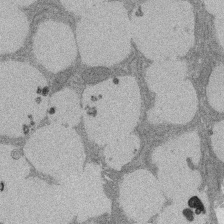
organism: Rat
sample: Salivary granule